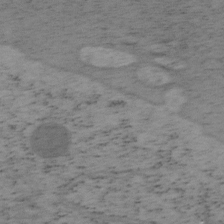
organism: Mouse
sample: OT-I killer T cells with ID8 ovarian cancer cells